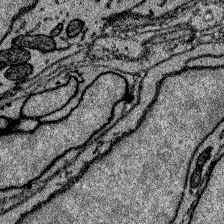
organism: Zebrafish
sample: Larval olfactory bulb